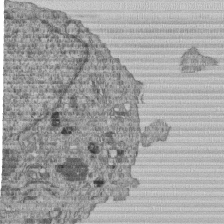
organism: Human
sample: MDA-MB-231 cells